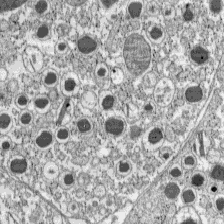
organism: C57BL Mouse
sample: Pancreatic islet